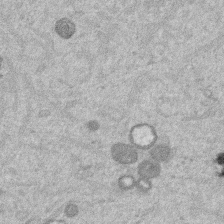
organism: Mouse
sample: Dividing mouse embryo 1 cell stage